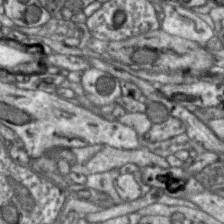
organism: Zebra finch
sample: Brain